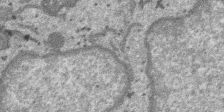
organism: Human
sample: Lung epithelial cells infected with SARS-CoV-2